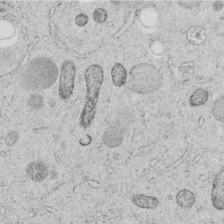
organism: C. elegans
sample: C. elegans embryo early stage